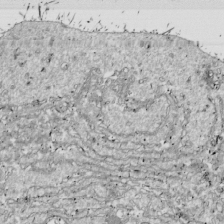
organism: Drosophila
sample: Cell division; meiosis; drosophila spermatocytes